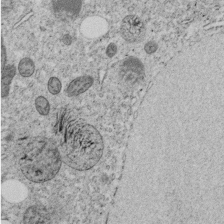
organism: C. elegans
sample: C. elegans embryo early stage